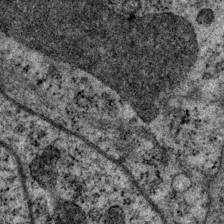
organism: P. pacificus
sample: Pharynx